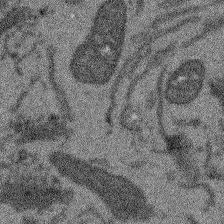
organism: Arabidopsis thaliana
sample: Root tip